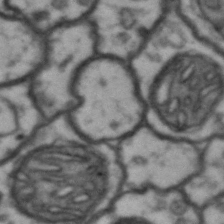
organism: Drosophila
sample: Brain